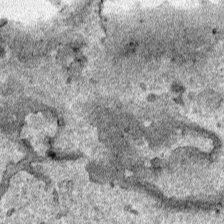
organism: Human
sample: Mitochondria in HCT116 cells